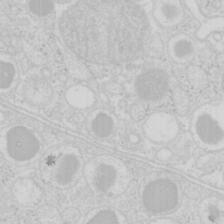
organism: Mouse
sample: Pancreas